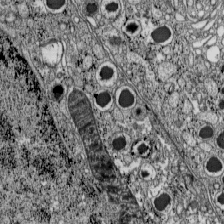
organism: C57BL Mouse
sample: Pancreatic islet